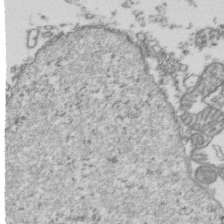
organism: Human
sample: Activated Jurkat CD4+ T cells